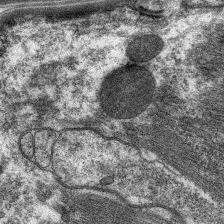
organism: C. elegans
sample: Pharynx